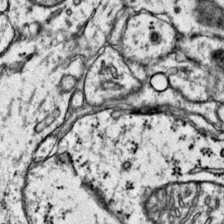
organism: Mouse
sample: Primary visual cortex